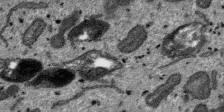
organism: Human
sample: Lung epithelial cells, uninfected (mock) control